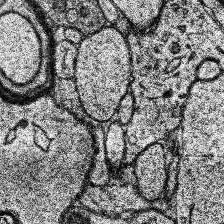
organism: Human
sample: Temporal Lobe